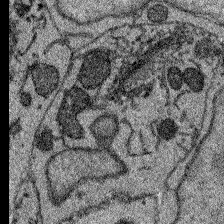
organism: Zebrafish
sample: Larval olfactory bulb